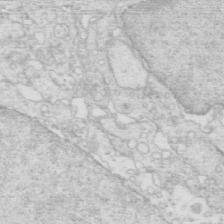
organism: Mouse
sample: Multiciliated cells